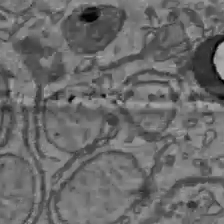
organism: C57BL Mouse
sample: Liver